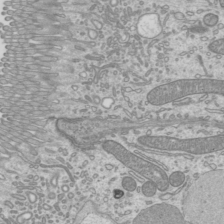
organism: Mouse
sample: Cilia; mouse epididymis